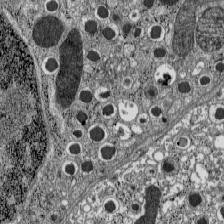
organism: C57BL Mouse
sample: Pancreatic islet